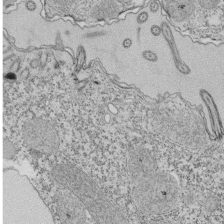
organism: Tetrahymena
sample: Cilia in tetrahymena